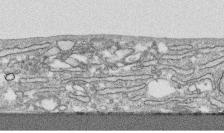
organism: Human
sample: CRL-1474